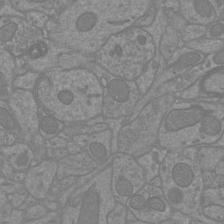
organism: Mouse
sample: Cortical neurons